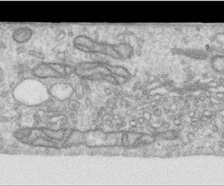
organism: Human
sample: Centriole in RPE cells